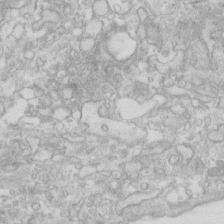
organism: Human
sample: Fibroblast cells